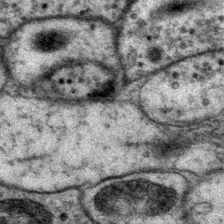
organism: P. pacificus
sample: Pharynx